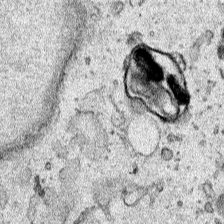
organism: Human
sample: Mitochondria in HCT116 cells